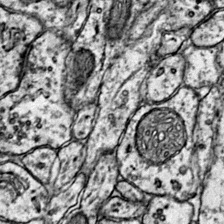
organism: Mouse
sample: Primary visual cortex